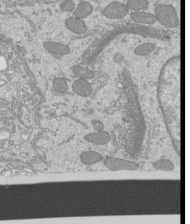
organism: Mouse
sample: Cilia; mouse epididymis